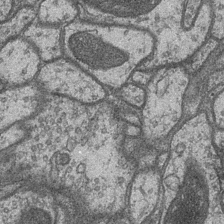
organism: Drosophila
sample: Optic medulla